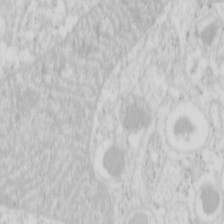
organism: Mouse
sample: Pancreas